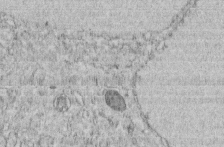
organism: C. elegans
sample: C. elegans embryo early stage